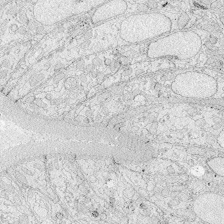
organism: Zebrafish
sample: Whole-Brain